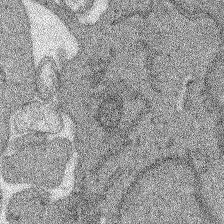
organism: Human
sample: HeLa cells